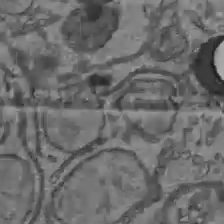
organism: C57BL Mouse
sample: Liver